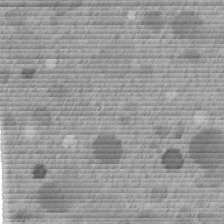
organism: C. elegans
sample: C. elegans embryo early stage